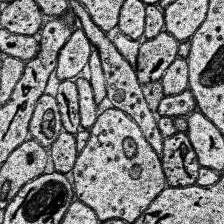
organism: Human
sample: Temporal Lobe